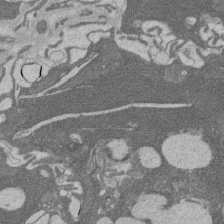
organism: Rat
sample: Salivary granule